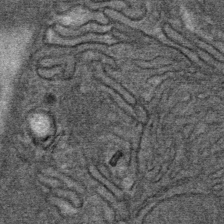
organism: Mouse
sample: Mouse Salivary gland